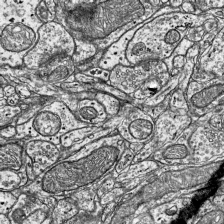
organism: Mouse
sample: Visual Cortex